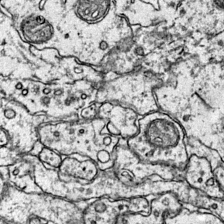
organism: Mouse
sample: Primary visual cortex